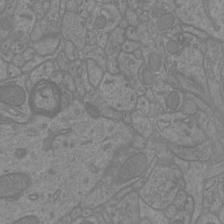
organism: Mouse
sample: Cortical neurons